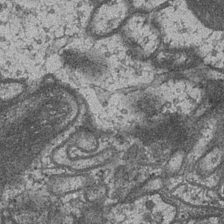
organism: Drosophila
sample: Optic medulla